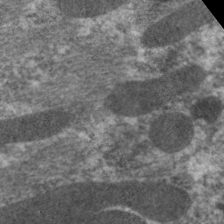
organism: C. elegans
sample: Pharynx